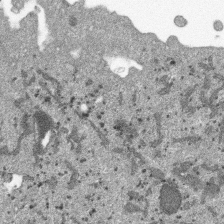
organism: Human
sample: Lung epithelial cells infected with SARS-CoV-2